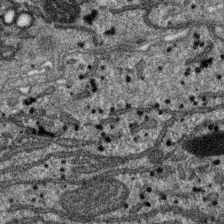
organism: Human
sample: Lung epithelial cells infected with SARS-CoV-2